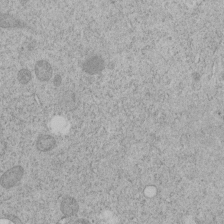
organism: C. elegans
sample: C. elegans embryo early stage